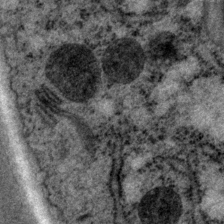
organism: P. pacificus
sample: Pharynx